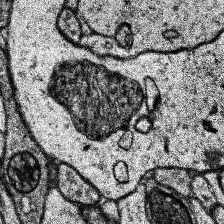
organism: Human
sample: Temporal Lobe